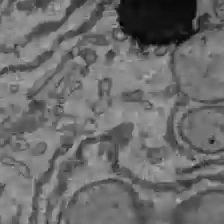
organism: C57BL Mouse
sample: Liver